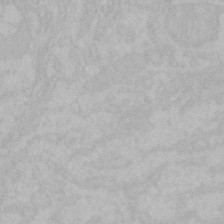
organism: Mouse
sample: Choroid plexus